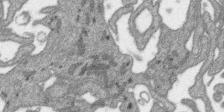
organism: Human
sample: Lung epithelial cells infected with SARS-CoV-2